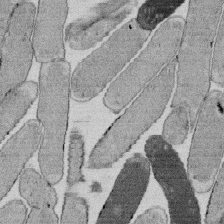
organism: E. coli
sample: Bacterial nucleoid